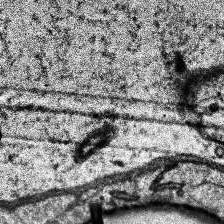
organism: Human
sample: Temporal Lobe